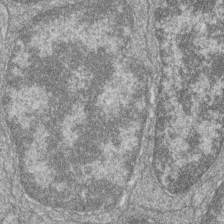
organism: Zebrafish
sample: Cilia; retinal pigment epithelium